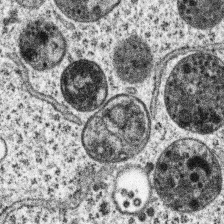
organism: Human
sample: HeLa cells